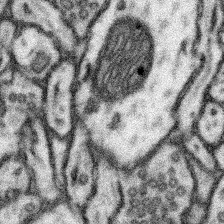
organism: Mouse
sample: Somatosensory cortex neuropil